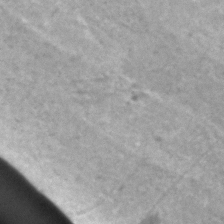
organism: Human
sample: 1205lu cells